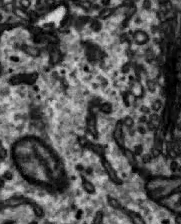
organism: Human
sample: HeLa cells